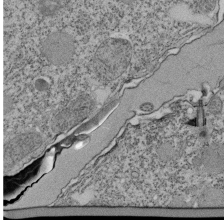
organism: Tetrahymena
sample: Cilia in tetrahymena